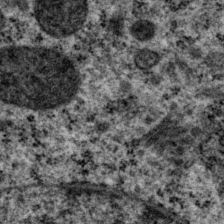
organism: P. pacificus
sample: Pharynx